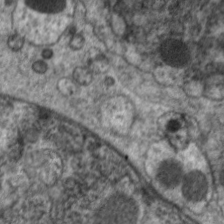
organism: C. elegans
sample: Pharynx